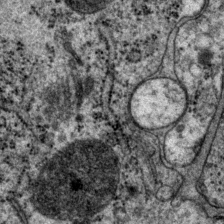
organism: P. pacificus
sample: Pharynx